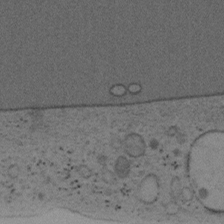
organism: Human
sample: HeLa cells